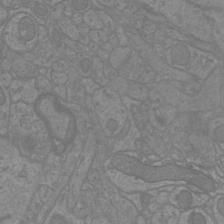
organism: Mouse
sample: Cortical neurons